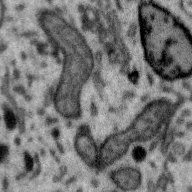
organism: Zebra finch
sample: Brain